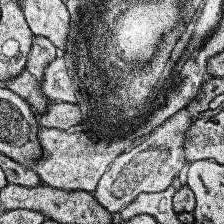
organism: Human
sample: Temporal Lobe